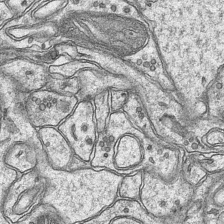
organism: Mouse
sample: CA1 Hippocampus